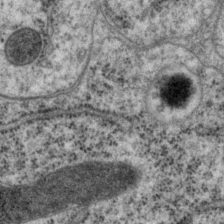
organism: P. pacificus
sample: Pharynx